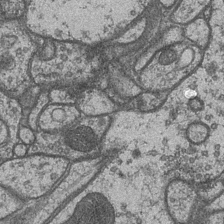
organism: Drosophila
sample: Optic medulla